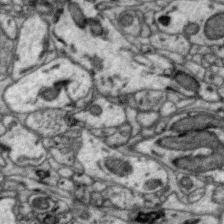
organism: Zebra finch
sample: Brain